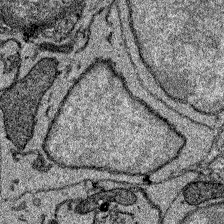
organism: Zebrafish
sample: Larval olfactory bulb